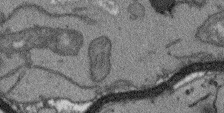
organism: Arabidopsis thaliana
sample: Root tip